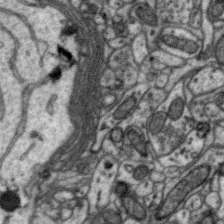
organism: Zebra finch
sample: Brain